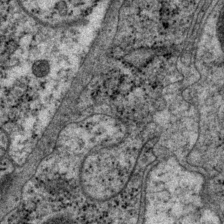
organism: P. pacificus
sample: Pharynx